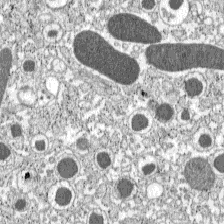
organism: C57BL Mouse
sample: Pancreatic islet